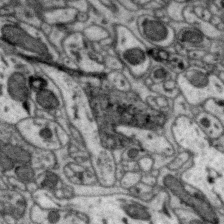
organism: Zebra finch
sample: Brain